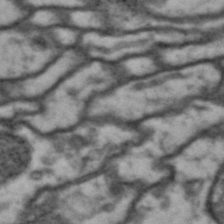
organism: Drosophila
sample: Brain